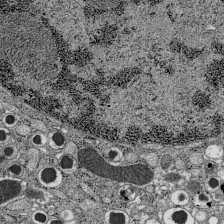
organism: C57BL Mouse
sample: Pancreatic islet